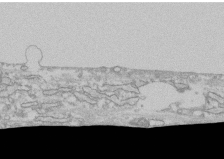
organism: Human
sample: CRL-1474